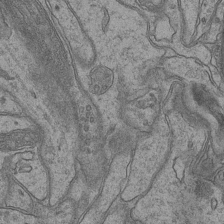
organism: Mouse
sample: CA1 Hippocampus